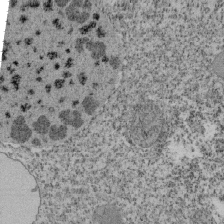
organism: Tetrahymena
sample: Cilia in tetrahymena